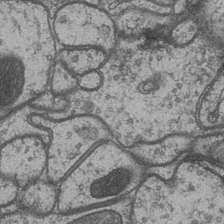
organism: Drosophila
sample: Optic medulla